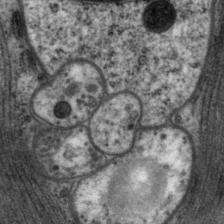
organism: P. pacificus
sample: Pharynx